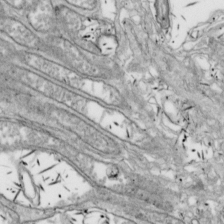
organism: Drosophila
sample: Cell division; meiosis; drosophila spermatocytes